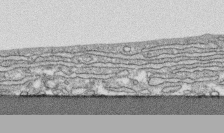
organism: Human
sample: CRL-1474